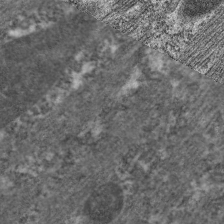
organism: C. elegans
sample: Pharynx